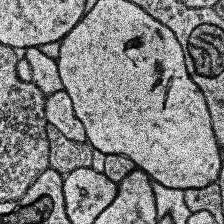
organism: Human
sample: Temporal Lobe